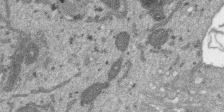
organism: Human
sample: Lung epithelial cells infected with SARS-CoV-2